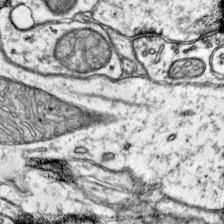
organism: Mouse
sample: Primary visual cortex